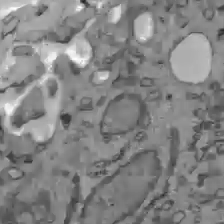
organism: C57BL Mouse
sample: Liver